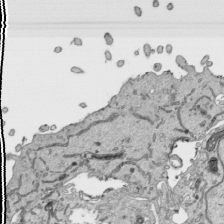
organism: Human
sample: Mitochondria in HCT116 cells